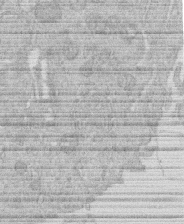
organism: Human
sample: Macrophage cells